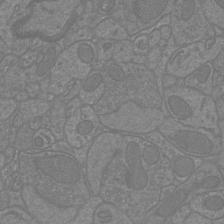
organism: Mouse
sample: Cortical neurons